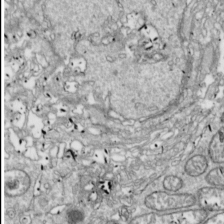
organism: Drosophila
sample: Cell division; meiosis; drosophila spermatocytes